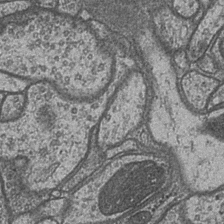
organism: Drosophila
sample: Optic medulla